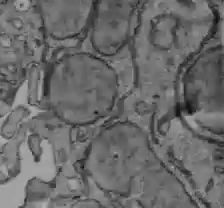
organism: C57BL Mouse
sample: Liver